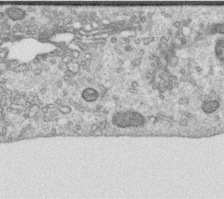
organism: Human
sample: Centriole in RPE cells